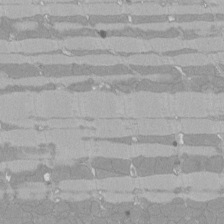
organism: Rat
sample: Left ventricle